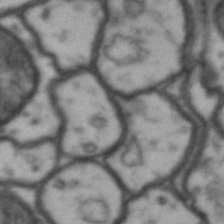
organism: Drosophila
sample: Brain